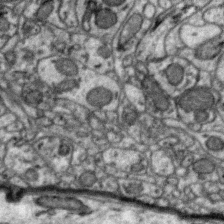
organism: Zebra finch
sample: Brain